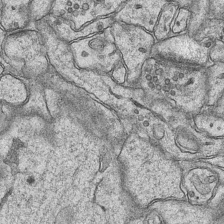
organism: Mouse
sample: CA1 Hippocampus